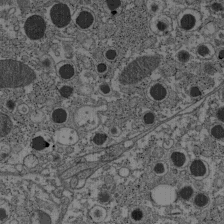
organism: C57BL Mouse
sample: Pancreatic islet